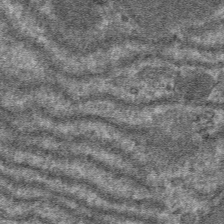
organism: Mouse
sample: Mouse hepatocytes